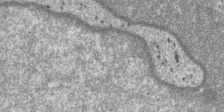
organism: Human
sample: Lung epithelial cells infected with SARS-CoV-2